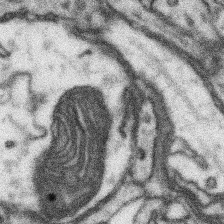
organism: Mouse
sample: Somatosensory cortex neuropil